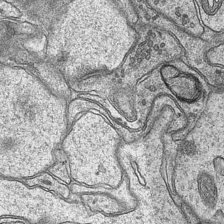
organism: Mouse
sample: CA1 Hippocampus